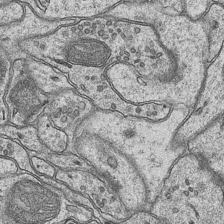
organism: Mouse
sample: CA1 Hippocampus